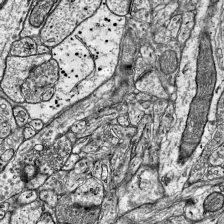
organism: Mouse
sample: Visual Cortex